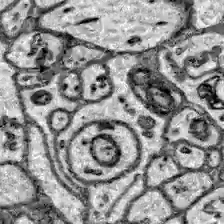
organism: Zebrafish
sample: Brain